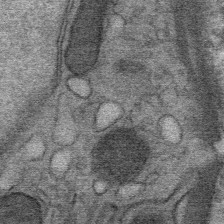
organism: Mouse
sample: Mouse Salivary gland